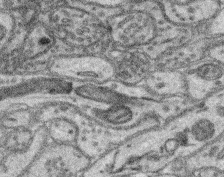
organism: Mouse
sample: Retina